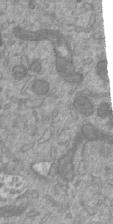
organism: Mouse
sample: ED-1 cell nuclei; centrioles